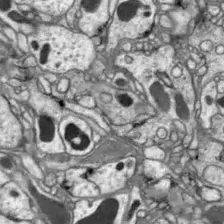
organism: Drosophila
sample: Optic lobe